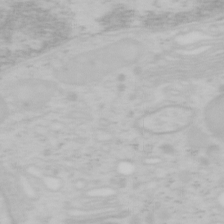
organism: Mouse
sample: OT-I killer T cells with ID8 ovarian cancer cells